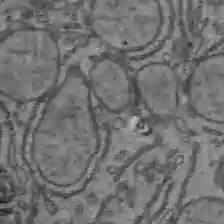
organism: C57BL Mouse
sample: Liver